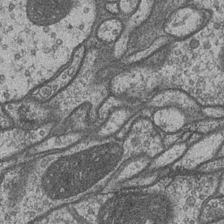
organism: Drosophila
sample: Optic medulla